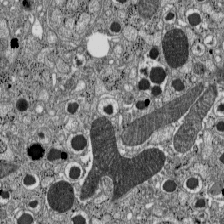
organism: C57BL Mouse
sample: Pancreatic islet